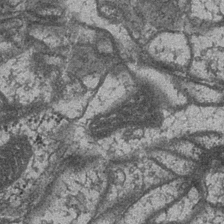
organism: Drosophila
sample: Optic medulla